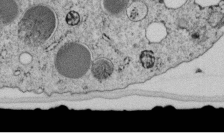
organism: C. elegans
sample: C. elegans embryo early stage